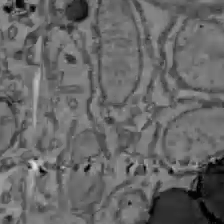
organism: C57BL Mouse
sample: Liver